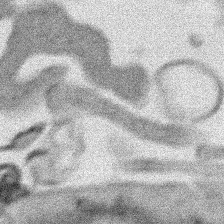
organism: Human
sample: Mitochondria in HCT116 cells